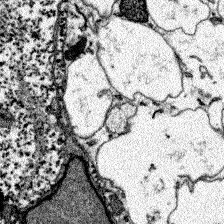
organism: Zebrafish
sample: Larval olfactory bulb